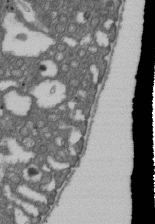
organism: Drosophila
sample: Nephrocyte